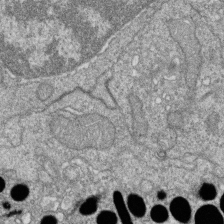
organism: Zebrafish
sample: Cilia; retinal pigment epithelium